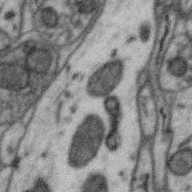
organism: Zebra finch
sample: Brain